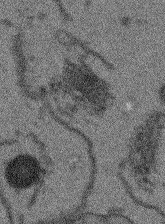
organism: Arabidopsis thaliana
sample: Root tip